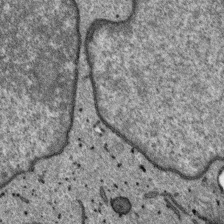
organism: Human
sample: Lung epithelial cells, uninfected (mock) control